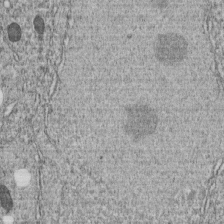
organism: C. elegans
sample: C. elegans embryo early stage